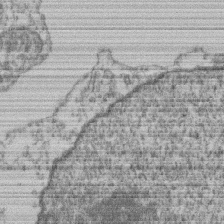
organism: Mouse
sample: T cell stromal cell synapse